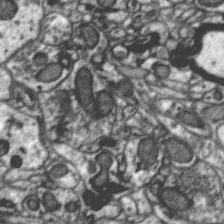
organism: Zebra finch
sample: Brain